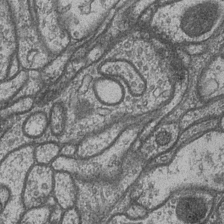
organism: Drosophila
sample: Optic medulla